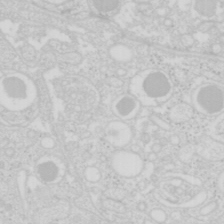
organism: Mouse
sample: Pancreas